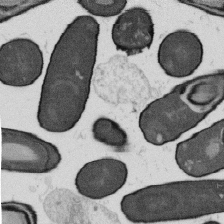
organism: B. subtilis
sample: Bacterial spore